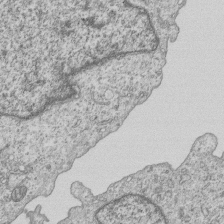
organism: Human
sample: MDA-MB-231 cells